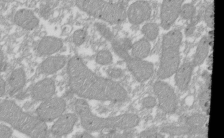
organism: Xenopus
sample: Cilia; centrioles in frog embryo cells